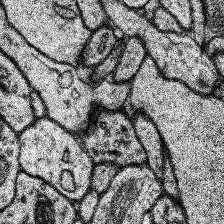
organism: Human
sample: Temporal Lobe